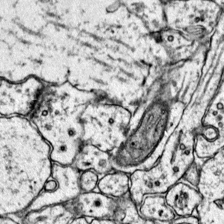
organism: Mouse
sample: Primary visual cortex